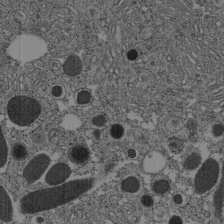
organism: C57BL Mouse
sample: Pancreatic islet